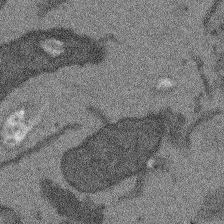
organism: Arabidopsis thaliana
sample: Root tip